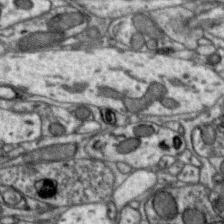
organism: Zebra finch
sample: Brain